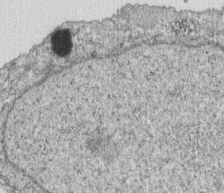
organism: Human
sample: HeLa cell HIV synapse